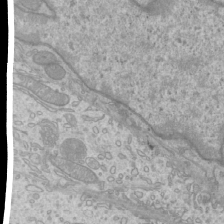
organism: Mouse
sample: Cilia; mouse epididymis